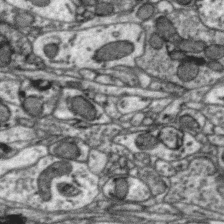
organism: Zebra finch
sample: Brain